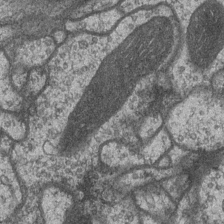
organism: Drosophila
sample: Optic medulla